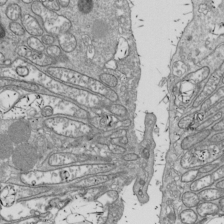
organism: Drosophila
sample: Cell division; meiosis; drosophila spermatocytes